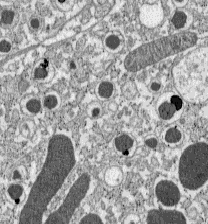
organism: C57BL Mouse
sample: Pancreatic islet